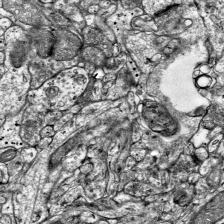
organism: Mouse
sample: Visual Cortex